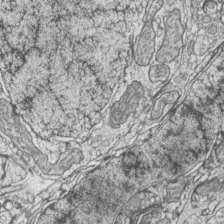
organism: Zebrafish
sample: synaptic ribbons in rod cells and cone cells